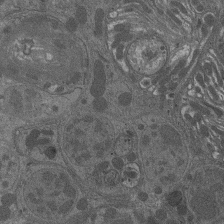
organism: Drosophila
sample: Antenna